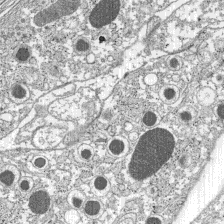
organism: C57BL Mouse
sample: Pancreatic islet